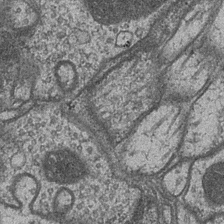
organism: Drosophila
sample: Optic medulla